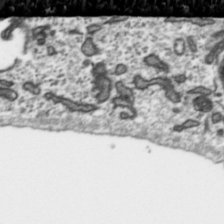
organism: Toxoplasma gondii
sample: Parasites in a vacuole inside a host cell